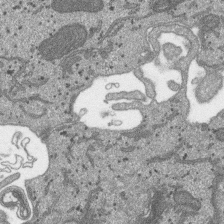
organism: Human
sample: Lung epithelial cells infected with SARS-CoV-2